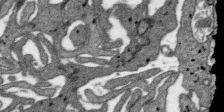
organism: Human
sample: Lung epithelial cells, uninfected (mock) control